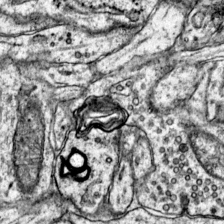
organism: Mouse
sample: Primary visual cortex